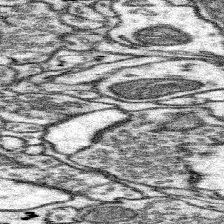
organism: Mouse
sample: Somatosensory cortex neuropil